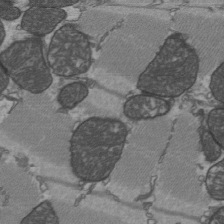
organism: C57BL Mouse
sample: Heart